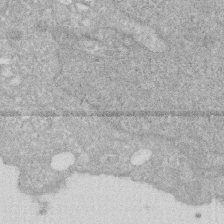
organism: Human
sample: HIV infected U937 cells